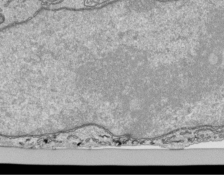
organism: Human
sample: Mitochondria in HCT116 cells